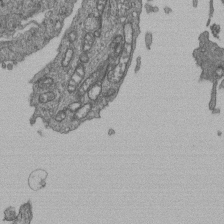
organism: Human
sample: Retinal organoid Rod and Cone cells